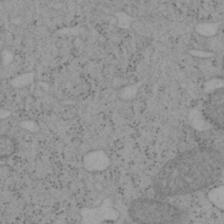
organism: Mouse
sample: OT-I killer T cells with ID8 ovarian cancer cells